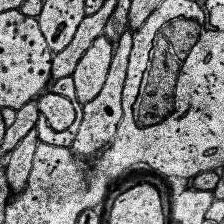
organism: Human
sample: Temporal Lobe